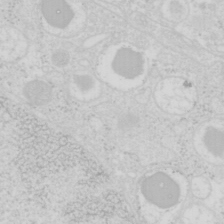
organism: Mouse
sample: Pancreas